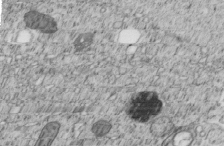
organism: C. elegans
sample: C. elegans embryo early stage